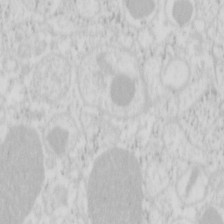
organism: Mouse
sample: Pancreas